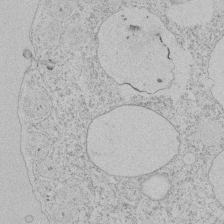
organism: Tetrahymena